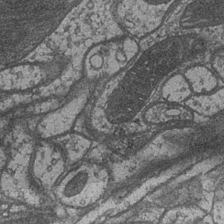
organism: Drosophila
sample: Optic medulla